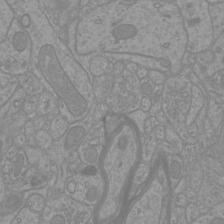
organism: Mouse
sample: Cortical neurons